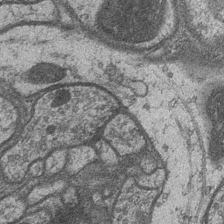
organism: Drosophila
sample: Optic medulla